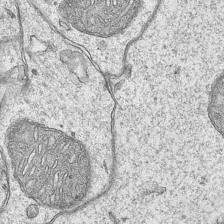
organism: Mouse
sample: CA1 Hippocampus